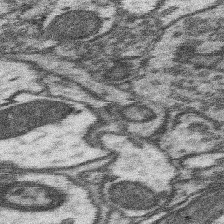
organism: Mouse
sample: Somatosensory cortex neuropil